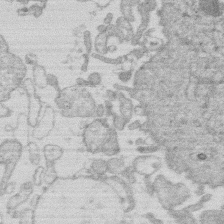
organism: Human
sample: Macrophage cells